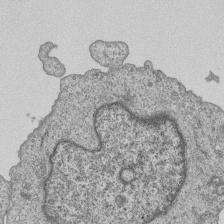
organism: Human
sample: MDA-MB-231 cells